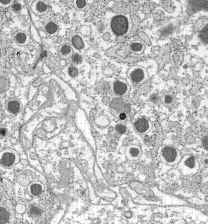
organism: C57BL Mouse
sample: Pancreatic islet